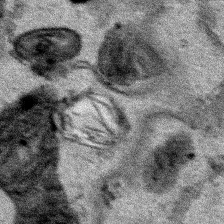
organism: Human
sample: Mitochondria in HCT116 cells